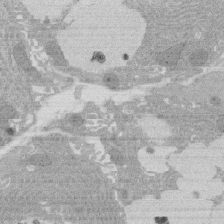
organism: Rat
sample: Salivary granule